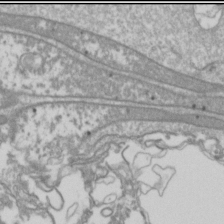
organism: Drosophila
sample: Cell division; meiosis; drosophila spermatocytes